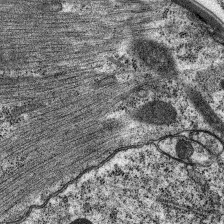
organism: C. elegans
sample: Pharynx